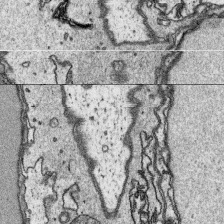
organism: Platynereis dumerilii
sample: Parapodia